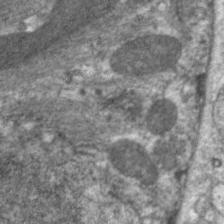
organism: C. elegans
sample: Pharynx